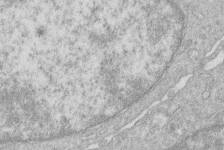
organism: Human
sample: Macrophage cells